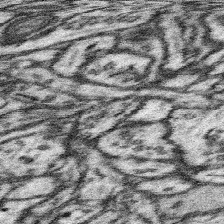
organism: Mouse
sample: Somatosensory cortex neuropil